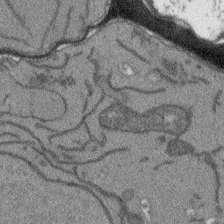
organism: Arabidopsis thaliana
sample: Root tip